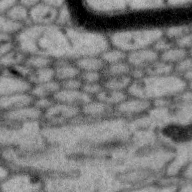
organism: Zebra finch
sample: Brain